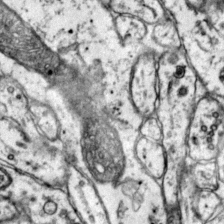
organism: Mouse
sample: Primary visual cortex